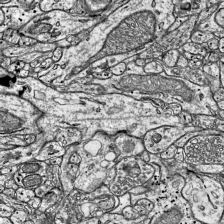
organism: Mouse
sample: Visual Cortex